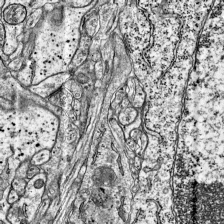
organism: Mouse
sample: Visual Cortex